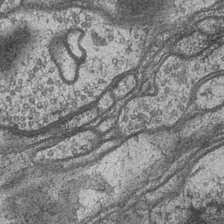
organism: Drosophila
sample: Optic medulla